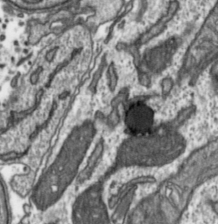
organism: Toxoplasma gondii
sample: Parasites in a vacuole inside a host cell